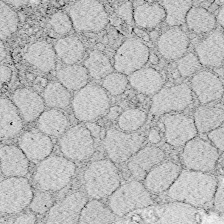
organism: Zebrafish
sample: Whole-Brain